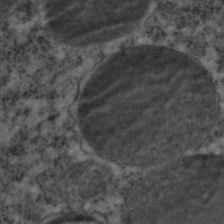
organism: C. elegans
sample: C. elegans embryo